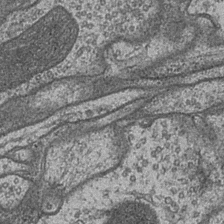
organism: Drosophila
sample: Optic medulla